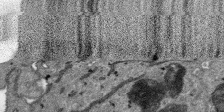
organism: Human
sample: Lung epithelial cells, uninfected (mock) control